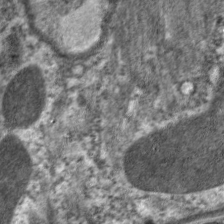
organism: C. elegans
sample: Pharynx